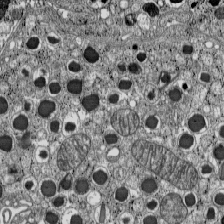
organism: C57BL Mouse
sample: Pancreatic islet